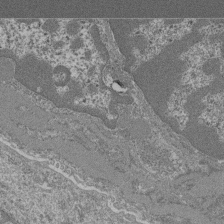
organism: Mouse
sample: Glomerulus